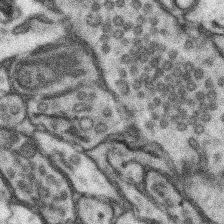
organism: Mouse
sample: Somatosensory cortex neuropil